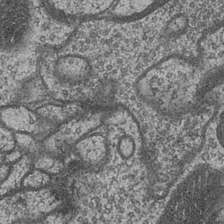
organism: Drosophila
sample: Optic medulla